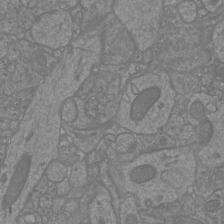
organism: Mouse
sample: Cortical neurons